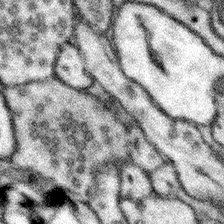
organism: Mouse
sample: Somatosensory cortex neuropil